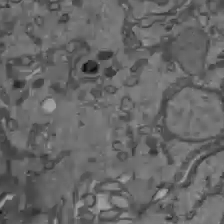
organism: C57BL Mouse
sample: Liver